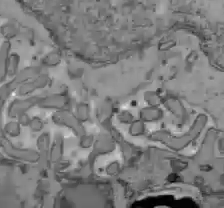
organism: C57BL Mouse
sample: Liver